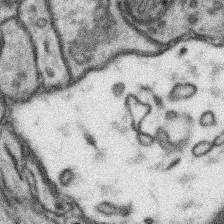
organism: Mouse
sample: Somatosensory cortex neuropil